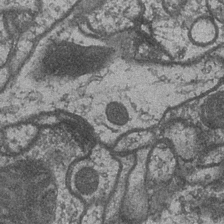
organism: Drosophila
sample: Optic medulla